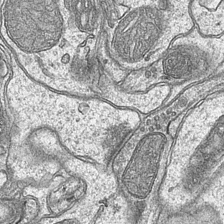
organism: Mouse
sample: CA1 Hippocampus